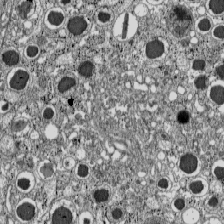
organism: C57BL Mouse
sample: Pancreatic islet